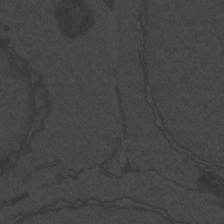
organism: Zebrafish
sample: Macrophage infected with Toxoplasma gondii